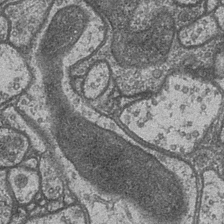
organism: Drosophila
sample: Optic medulla